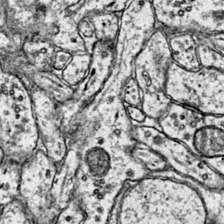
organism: Mouse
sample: Primary visual cortex